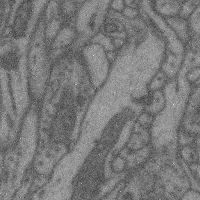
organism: Mouse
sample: Cerebral cortex